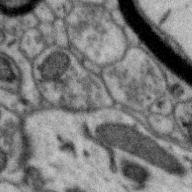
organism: Zebra finch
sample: Brain